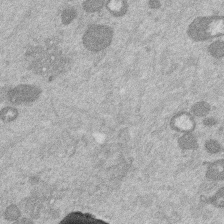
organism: Mouse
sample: Dividing mouse embryo 1 cell stage